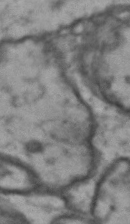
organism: Drosophila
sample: Brain